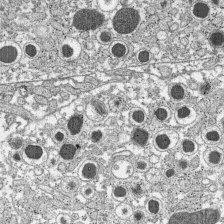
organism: C57BL Mouse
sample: Pancreatic islet